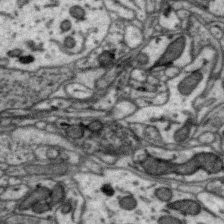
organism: Zebra finch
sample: Brain